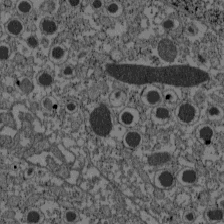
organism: C57BL Mouse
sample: Pancreatic islet